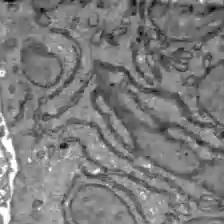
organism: C57BL Mouse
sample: Liver